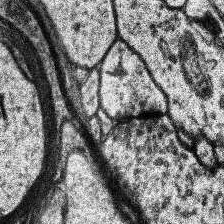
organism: Human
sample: Temporal Lobe